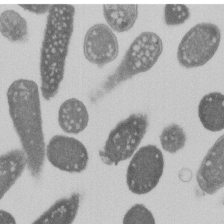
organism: E. coli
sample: Bacterial nucleoid